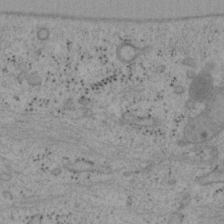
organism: Human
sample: HeLa cells